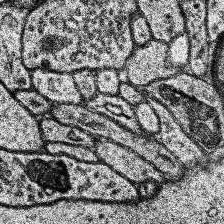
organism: Human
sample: Temporal Lobe